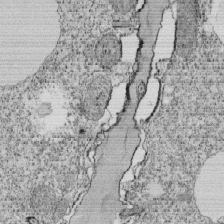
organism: Tetrahymena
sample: Cilia in tetrahymena